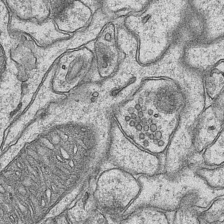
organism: Mouse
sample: CA1 Hippocampus